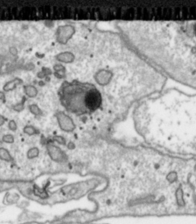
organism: Toxoplasma gondii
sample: Parasites in a vacuole inside a host cell